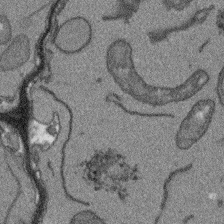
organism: Arabidopsis thaliana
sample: Root tip